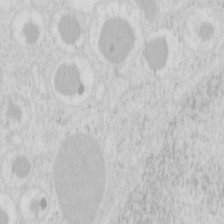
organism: Mouse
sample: Pancreas